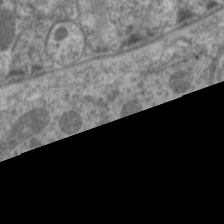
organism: C. elegans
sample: Pharynx